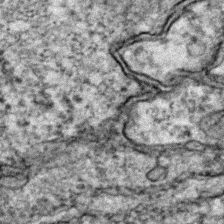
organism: Zebrafish